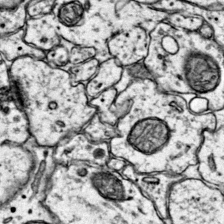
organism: Mouse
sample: Primary visual cortex